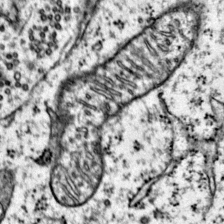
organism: Mouse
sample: Primary visual cortex